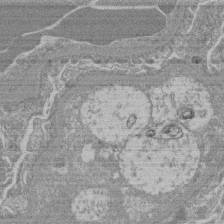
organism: Mouse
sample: Glomerulus